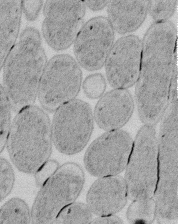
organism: E. coli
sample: Bacterial nucleoid